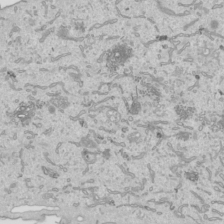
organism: Human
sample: Mitochondria in HCT116 cells